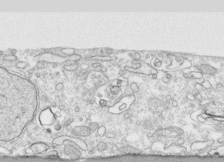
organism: Human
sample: CRL-1474